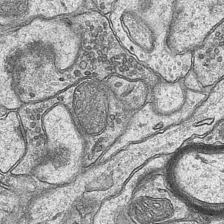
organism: Mouse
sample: CA1 Hippocampus